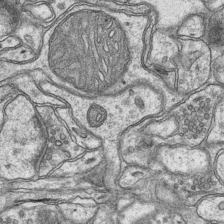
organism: Mouse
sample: CA1 Hippocampus